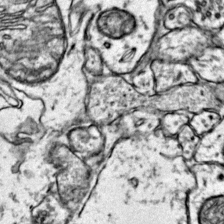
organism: Mouse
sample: Primary visual cortex